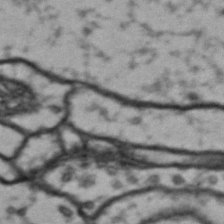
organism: Drosophila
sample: Brain